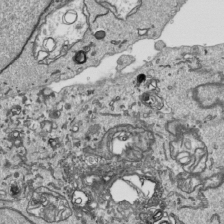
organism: Human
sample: Mitochondria in HCT116 cells